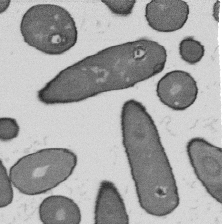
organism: B. subtilis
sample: Bacterial spore